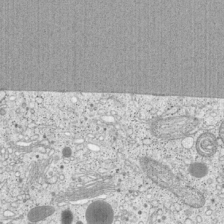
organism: African green monkey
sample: COS-7 cells